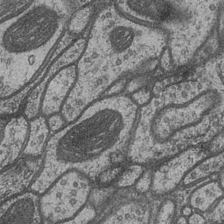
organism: Drosophila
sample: Optic medulla